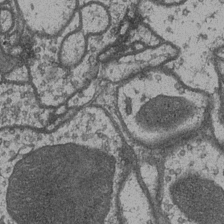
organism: Drosophila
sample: Optic medulla